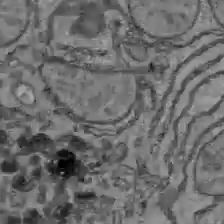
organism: C57BL Mouse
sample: Liver